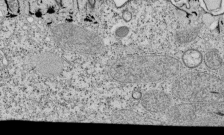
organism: Tetrahymena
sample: Cilia in tetrahymena